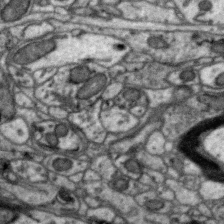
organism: Zebra finch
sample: Brain